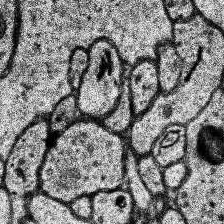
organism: Human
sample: Temporal Lobe